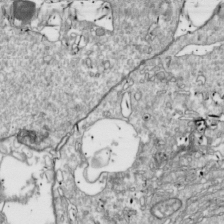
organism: Drosophila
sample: Cell division; meiosis; drosophila spermatocytes